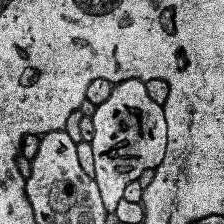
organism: Human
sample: Temporal Lobe